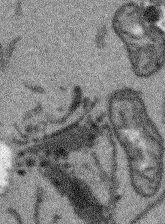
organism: Arabidopsis thaliana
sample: Root tip